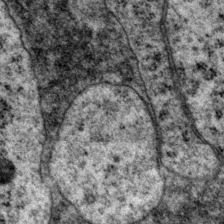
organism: P. pacificus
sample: Pharynx